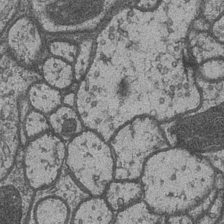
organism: Drosophila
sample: Optic medulla